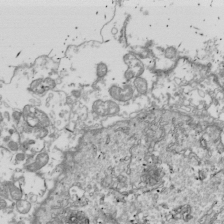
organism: Drosophila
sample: Cell division; meiosis; drosophila spermatocytes